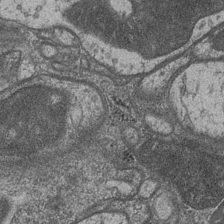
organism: Drosophila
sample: Optic medulla